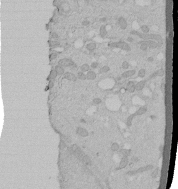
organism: Human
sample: Melanocyte Keratinocyte synapse skin construct